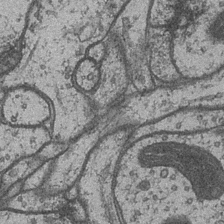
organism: Drosophila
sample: Optic medulla